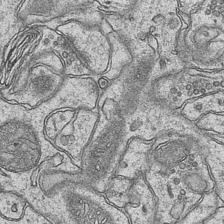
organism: Mouse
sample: CA1 Hippocampus